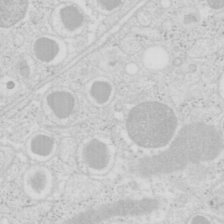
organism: Mouse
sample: Pancreas